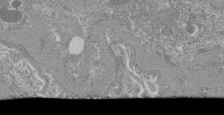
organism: Mouse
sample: Glomerulus